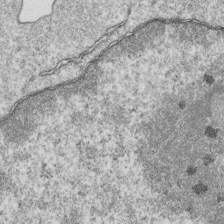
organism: Mouse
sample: Activated OT-1 CD8+ T cells